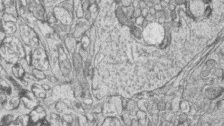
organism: Zebrafish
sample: synaptic ribbons in rod cells and cone cells